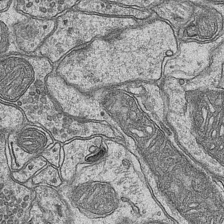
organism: Mouse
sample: CA1 Hippocampus